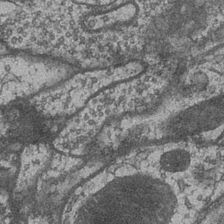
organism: Drosophila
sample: Optic medulla